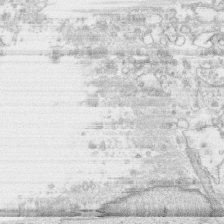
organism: Human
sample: CRL-1474